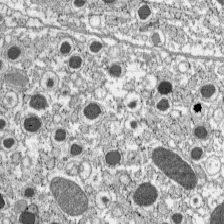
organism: C57BL Mouse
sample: Pancreatic islet